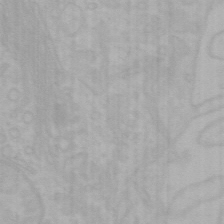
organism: Mouse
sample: Choroid plexus